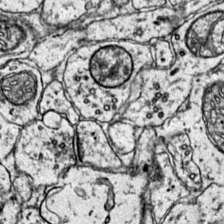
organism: Mouse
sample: Primary visual cortex